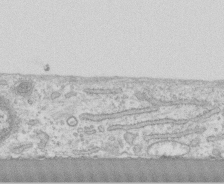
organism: Human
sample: CRL-1474